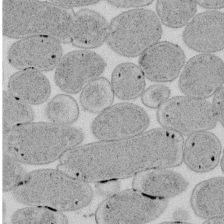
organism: E. coli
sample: Bacterial nucleoid